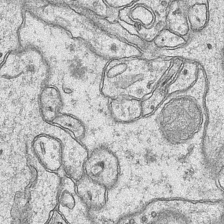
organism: Mouse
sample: CA1 Hippocampus